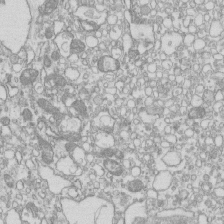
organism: Mouse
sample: Macrophages